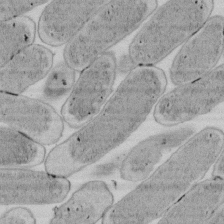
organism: E. coli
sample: Bacterial nucleoid